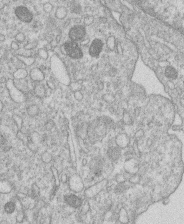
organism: Human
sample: Macrophage cells